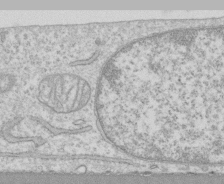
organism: Human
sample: CRL-1474